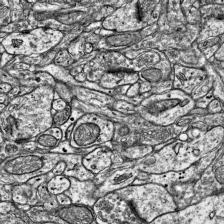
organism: Mouse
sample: Visual Cortex